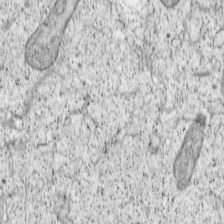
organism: African green monkey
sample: COS-7 cells